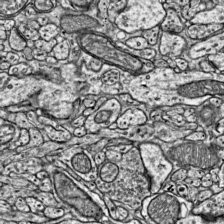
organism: Mouse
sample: Visual Cortex